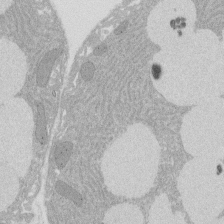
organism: Rat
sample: Salivary granule